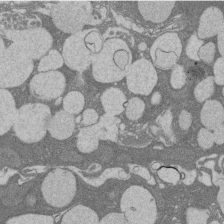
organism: Rat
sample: Salivary granule